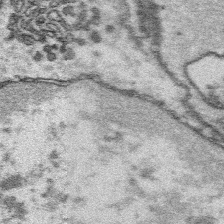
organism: Platynereis dumerilii